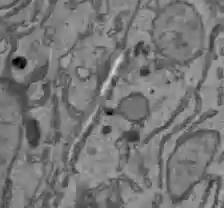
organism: C57BL Mouse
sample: Liver